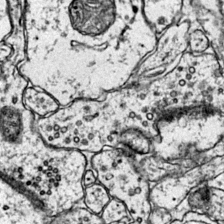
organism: Mouse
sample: Primary visual cortex